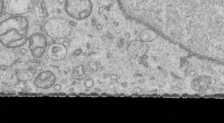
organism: Human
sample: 1205lu cells